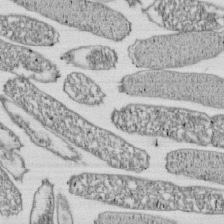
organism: E. coli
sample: Bacterial nucleoid